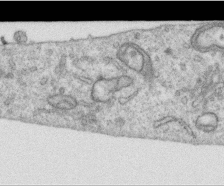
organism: Human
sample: Centriole in RPE cells